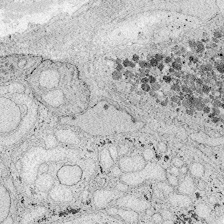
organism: Zebrafish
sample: Whole-Brain